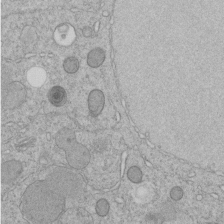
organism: C. elegans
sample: C. elegans embryo early stage